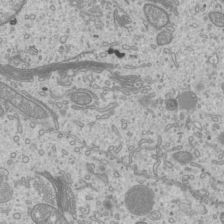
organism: Mouse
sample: Cilia; mouse epididymis